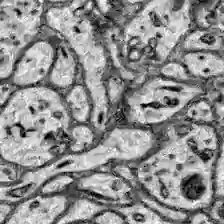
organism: Zebrafish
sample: Brain